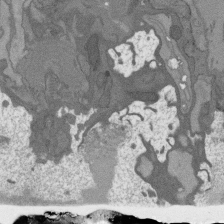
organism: C. elegans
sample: AFD neurons C. elegans